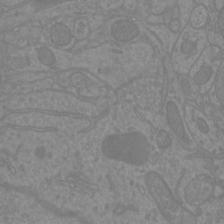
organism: Mouse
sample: Cortical neurons